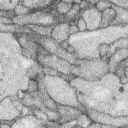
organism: Rabbit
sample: Retina